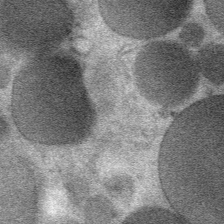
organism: Mouse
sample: Mouse Salivary gland